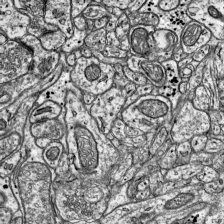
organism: Mouse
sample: Visual Cortex